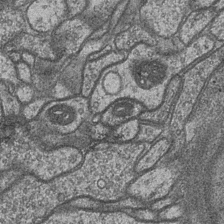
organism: Drosophila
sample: Optic medulla